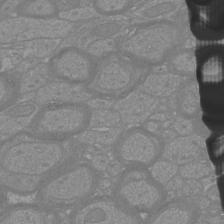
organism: Mouse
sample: Cortical neurons